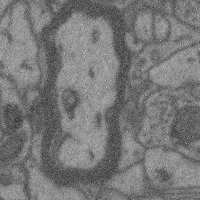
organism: Mouse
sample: Cerebral cortex